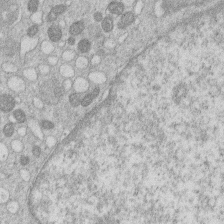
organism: Human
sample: Macrophage cells